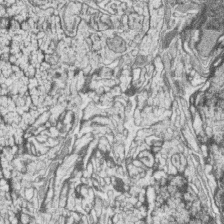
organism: Zebrafish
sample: synaptic ribbons in rod cells and cone cells